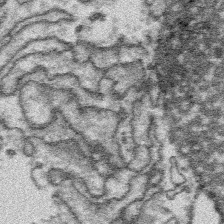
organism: Platynereis dumerilii